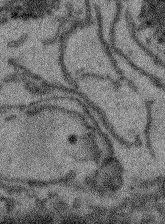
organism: Arabidopsis thaliana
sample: Root tip